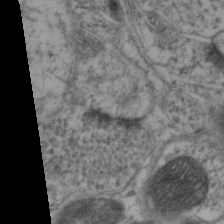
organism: Mouse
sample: Neocortex